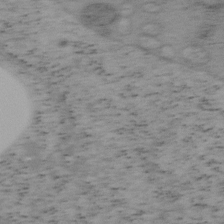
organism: Mouse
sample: OT-I killer T cells with ID8 ovarian cancer cells